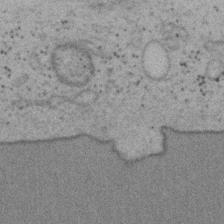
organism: Human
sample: HeLa cells